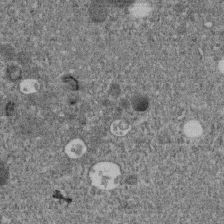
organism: C. elegans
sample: C. elegans embryo early stage